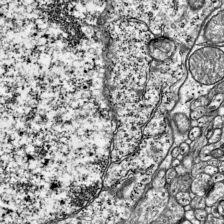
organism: Mouse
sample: Visual Cortex